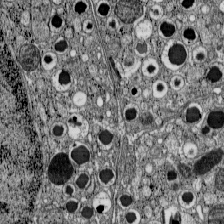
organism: C57BL Mouse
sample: Pancreatic islet